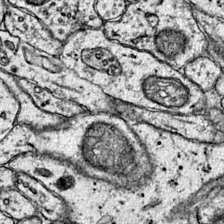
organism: Mouse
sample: Primary visual cortex